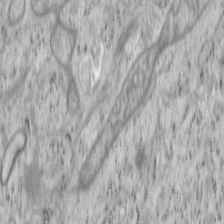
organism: Human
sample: HeLa cells